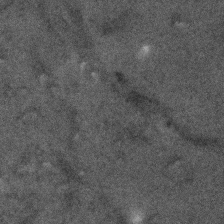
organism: Human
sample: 1205lu cells